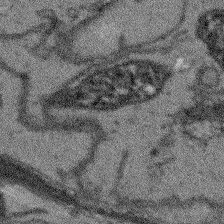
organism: Arabidopsis thaliana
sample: Root tip